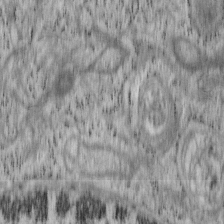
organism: Human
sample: HeLa cells